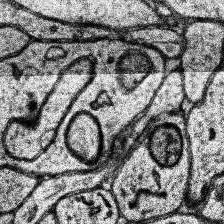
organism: Human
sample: Temporal Lobe